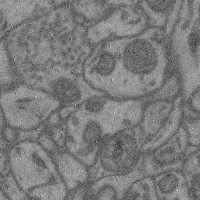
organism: Mouse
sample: Cerebral cortex